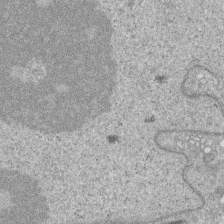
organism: Human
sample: HeLa cell HIV synapse